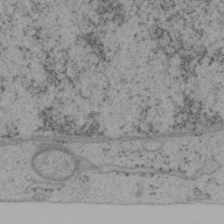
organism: Human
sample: HeLa cells